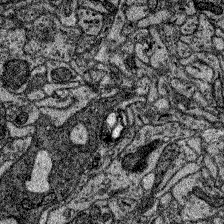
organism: Zebrafish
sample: Larval olfactory bulb